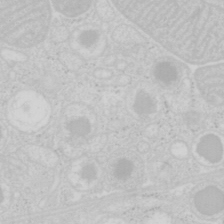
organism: Mouse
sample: Pancreas